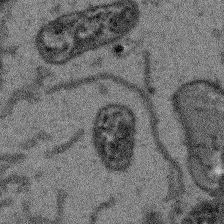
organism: Arabidopsis thaliana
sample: Root tip